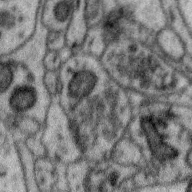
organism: Zebra finch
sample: Brain